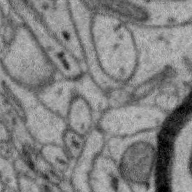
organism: Zebra finch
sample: Brain